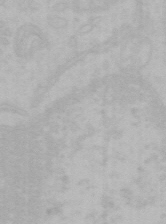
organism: Mouse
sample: Choroid plexus